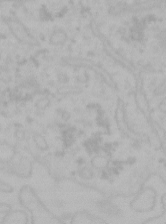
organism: Mouse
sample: Choroid plexus